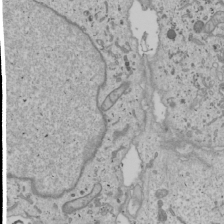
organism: Human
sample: Mitochondria in U2OS cells